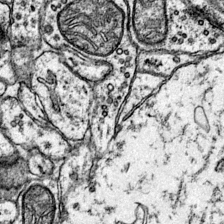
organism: Mouse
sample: Primary visual cortex